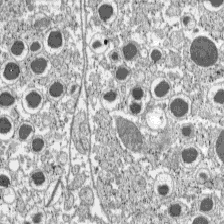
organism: C57BL Mouse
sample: Pancreatic islet